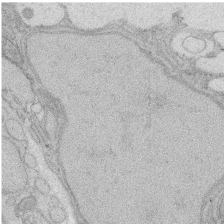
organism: Rat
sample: Salivary granule